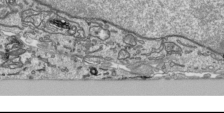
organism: Human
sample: Mitochondria in HCT116 cells